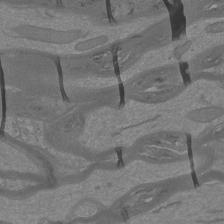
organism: Mouse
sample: Cortical neurons